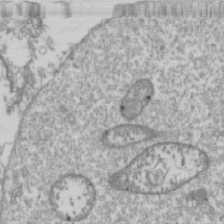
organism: Drosophila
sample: Cell division; meiosis; drosophila spermatocytes